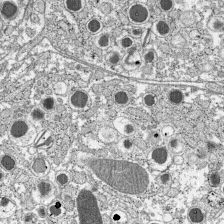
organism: C57BL Mouse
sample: Pancreatic islet